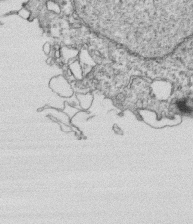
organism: Human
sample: HeLa cell HIV synapse